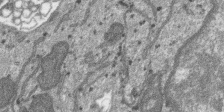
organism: Human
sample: Lung epithelial cells infected with SARS-CoV-2